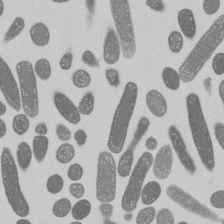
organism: E. coli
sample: Bacterial nucleoid